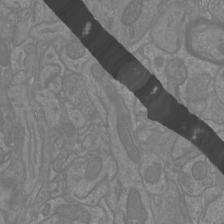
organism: Mouse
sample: Cortical neurons